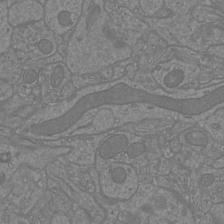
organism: Mouse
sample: Cortical neurons